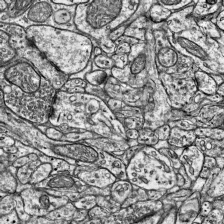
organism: Mouse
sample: Visual Cortex